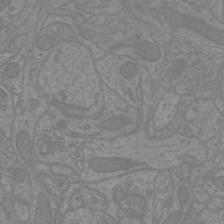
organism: Mouse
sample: Cortical neurons